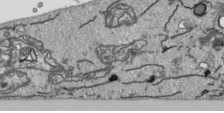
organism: Human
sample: Mitochondria in HCT116 cells